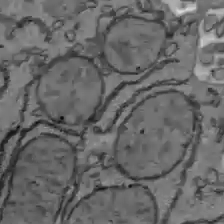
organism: C57BL Mouse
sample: Liver